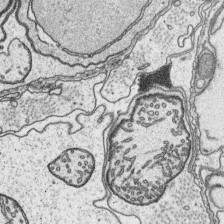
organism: Platynereis dumerilii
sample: Parapodia